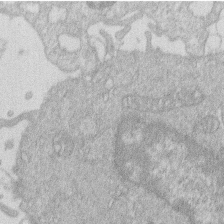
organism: Human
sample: Macrophage cells